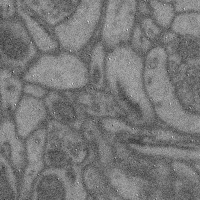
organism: Mouse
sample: Cerebral cortex